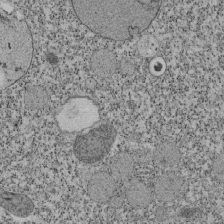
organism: Tetrahymena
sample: Cilia in tetrahymena